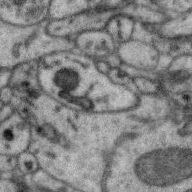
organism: Zebra finch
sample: Brain